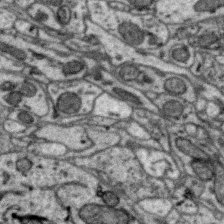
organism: Zebra finch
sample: Brain